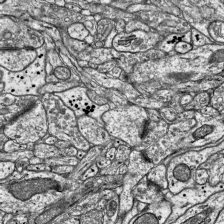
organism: Mouse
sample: Visual Cortex